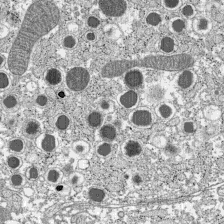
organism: C57BL Mouse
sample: Pancreatic islet